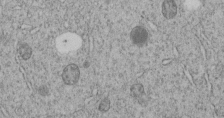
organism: C. elegans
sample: C. elegans embryo early stage